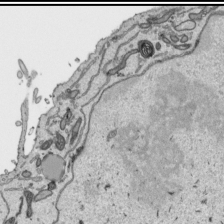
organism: Human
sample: Mitochondria in HCT116 cells